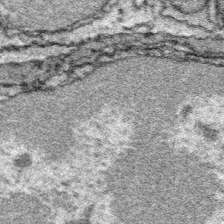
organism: Platynereis dumerilii